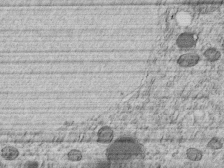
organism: C. elegans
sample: C. elegans embryo early stage